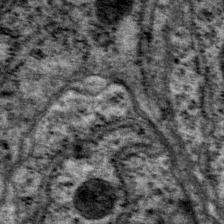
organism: P. pacificus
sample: Pharynx